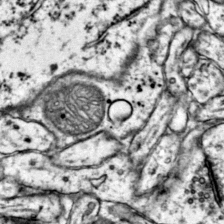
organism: Mouse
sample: Primary visual cortex